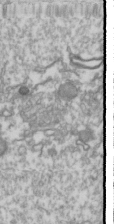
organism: Drosophila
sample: Cell division; meiosis; drosophila spermatocytes